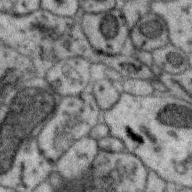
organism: Zebra finch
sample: Brain